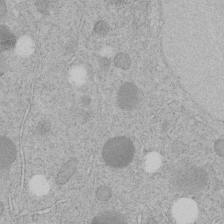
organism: C. elegans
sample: C. elegans embryo early stage